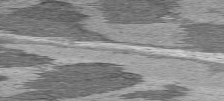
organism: C57BL Mouse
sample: Heart